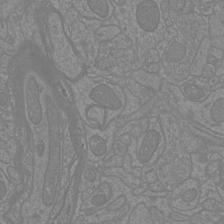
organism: Mouse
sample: Cortical neurons